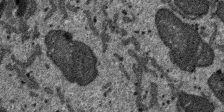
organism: Human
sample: Lung epithelial cells infected with SARS-CoV-2